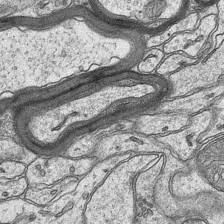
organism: Mouse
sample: CA1 Hippocampus